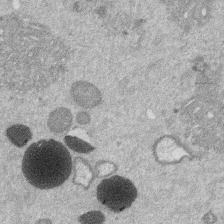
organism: Mouse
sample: Dividing mouse embryo 1 cell stage